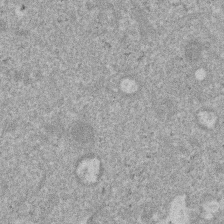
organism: Mouse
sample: Dividing mouse embryo 1 cell stage